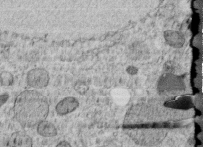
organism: C. elegans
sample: C. elegans embryo early stage